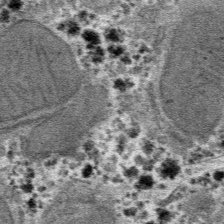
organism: Mouse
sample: Mouse hepatocytes